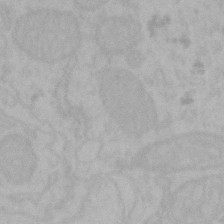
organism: Mouse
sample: Choroid plexus